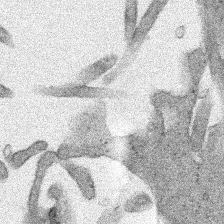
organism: Human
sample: Mitochondria in HCT116 cells